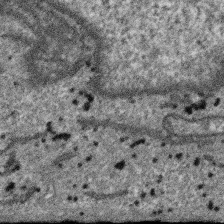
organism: Human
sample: Lung epithelial cells infected with SARS-CoV-2